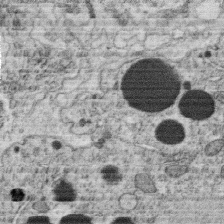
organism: C. elegans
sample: C. elegans oocyte; sperm cells